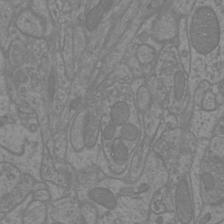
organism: Mouse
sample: Cortical neurons